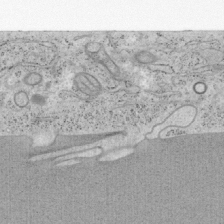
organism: Human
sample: HeLa cells